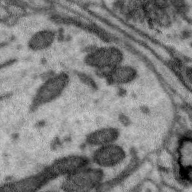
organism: Zebra finch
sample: Brain